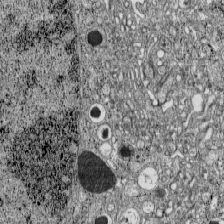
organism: C57BL Mouse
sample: Pancreatic islet